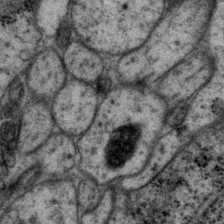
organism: P. pacificus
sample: Pharynx